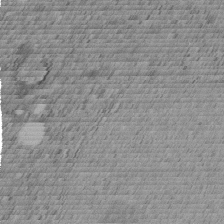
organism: C. elegans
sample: C. elegans embryo early stage